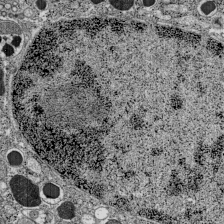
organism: C57BL Mouse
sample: Pancreatic islet